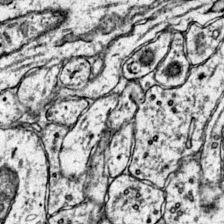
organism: Mouse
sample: Primary visual cortex